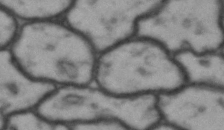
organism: Drosophila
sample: Brain